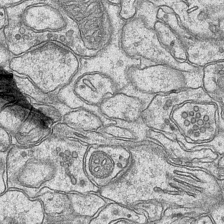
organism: Mouse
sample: CA1 Hippocampus